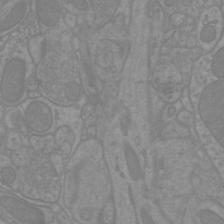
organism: Mouse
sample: Cortical neurons